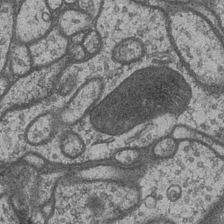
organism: Drosophila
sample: Optic medulla